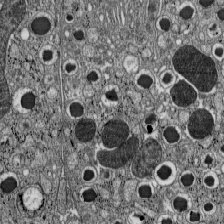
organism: C57BL Mouse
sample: Pancreatic islet